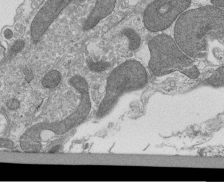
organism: Tetrahymena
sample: Cilia in tetrahymena